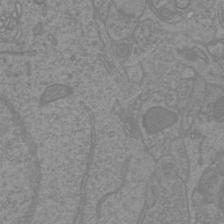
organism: Mouse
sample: Cortical neurons